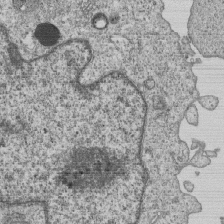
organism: Human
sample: MDA-MB-231 cells